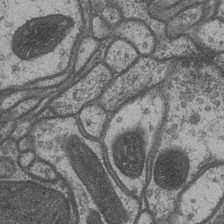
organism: Drosophila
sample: Optic medulla